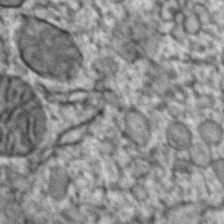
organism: Zebrafish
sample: Zebrafish embryo